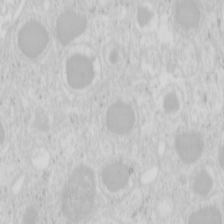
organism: Mouse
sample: Pancreas